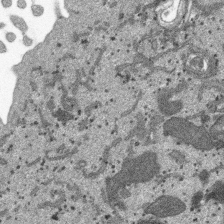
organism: Human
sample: Lung epithelial cells infected with SARS-CoV-2